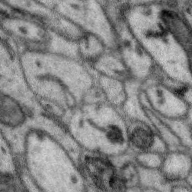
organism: Zebra finch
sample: Brain